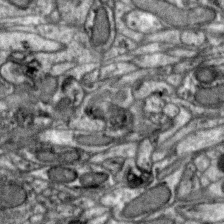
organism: Zebra finch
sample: Brain